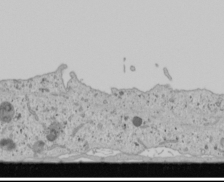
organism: Human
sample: Mitochondria in U2OS cells